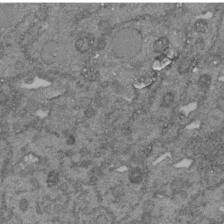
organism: C. elegans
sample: C. elegans embryo early stage